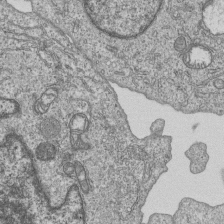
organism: Human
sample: MDA-MB-231 cells